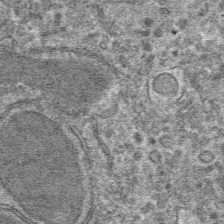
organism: Mouse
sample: Mouse hepatocytes